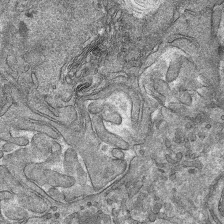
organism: Mouse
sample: Mouse hepatocytes